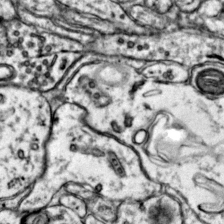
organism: Mouse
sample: Primary visual cortex